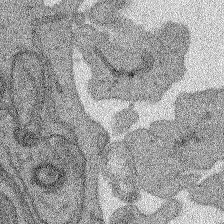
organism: Human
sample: HeLa cells